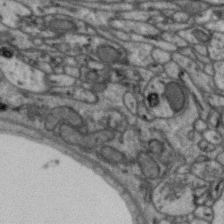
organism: Zebra finch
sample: Brain